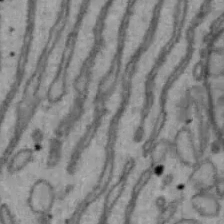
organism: Mouse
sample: Liver